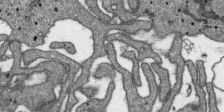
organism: Human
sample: Lung epithelial cells, uninfected (mock) control